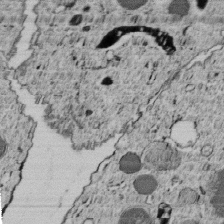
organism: C. elegans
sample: C. elegans embryo early stage